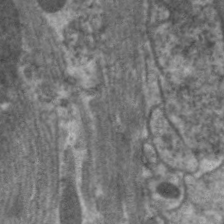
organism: C. elegans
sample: Pharynx